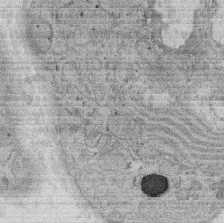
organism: Rat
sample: Salivary granule